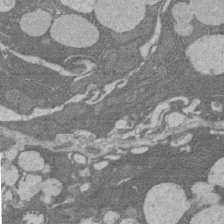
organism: Rat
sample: Salivary granule